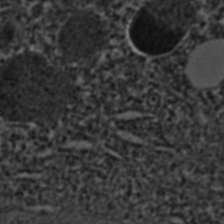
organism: C. elegans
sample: C. elegans embryo